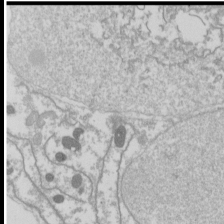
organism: Drosophila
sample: Cell division; meiosis; drosophila spermatocytes